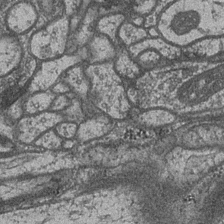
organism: Drosophila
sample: Optic medulla